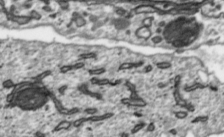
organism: Toxoplasma gondii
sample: Parasites in a vacuole inside a host cell